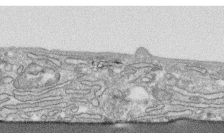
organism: Human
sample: CRL-1474